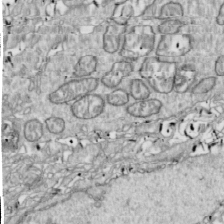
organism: Drosophila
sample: Cell division; meiosis; drosophila spermatocytes